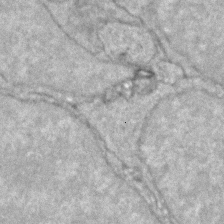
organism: Zebrafish